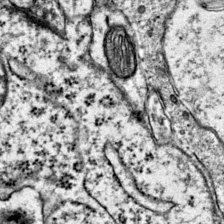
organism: Mouse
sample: Primary visual cortex